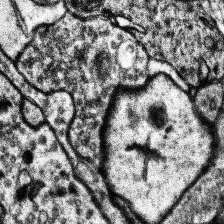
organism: Human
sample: Temporal Lobe